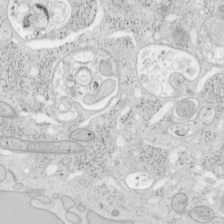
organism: Mouse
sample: OT-I killer T cells with ID8 ovarian cancer cells